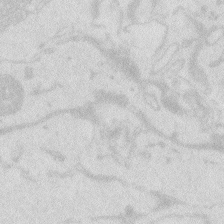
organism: Zebrafish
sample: Macrophage